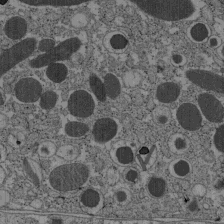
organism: C57BL Mouse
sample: Pancreatic islet